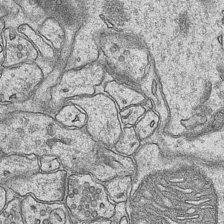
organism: Mouse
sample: CA1 Hippocampus